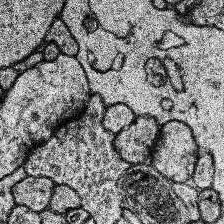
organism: Human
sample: Temporal Lobe